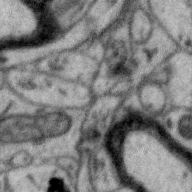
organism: Zebra finch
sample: Brain